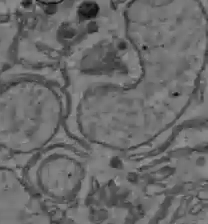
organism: C57BL Mouse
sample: Liver